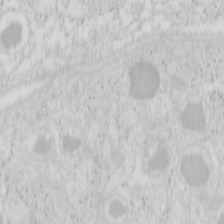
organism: Mouse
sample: Pancreas